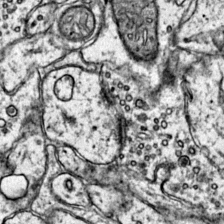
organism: Mouse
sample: Primary visual cortex